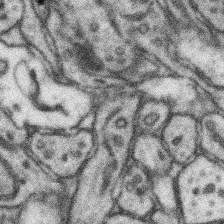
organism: Mouse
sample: Somatosensory cortex neuropil